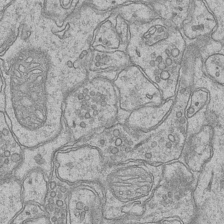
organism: Mouse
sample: CA1 Hippocampus